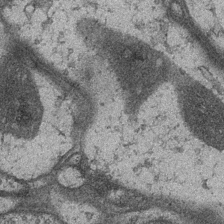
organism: Drosophila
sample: Optic medulla